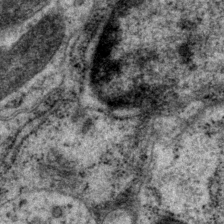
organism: P. pacificus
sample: Pharynx